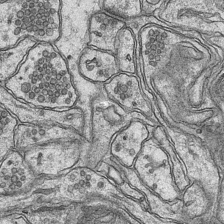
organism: Mouse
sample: CA1 Hippocampus